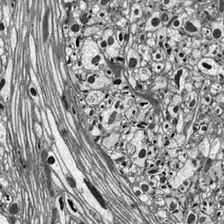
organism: Drosophila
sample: Optic lobe